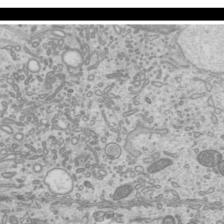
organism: Mouse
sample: Cilia; mouse epididymis